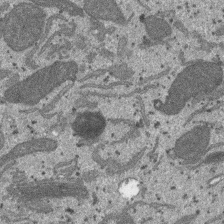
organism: Human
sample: Lung epithelial cells infected with SARS-CoV-2